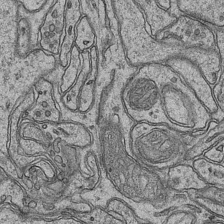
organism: Mouse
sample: CA1 Hippocampus